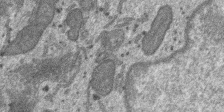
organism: Human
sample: Lung epithelial cells infected with SARS-CoV-2